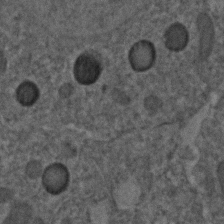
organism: C. elegans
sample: C. elegans embryo